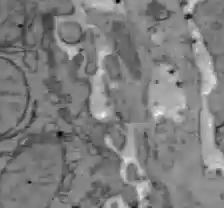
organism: C57BL Mouse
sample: Liver